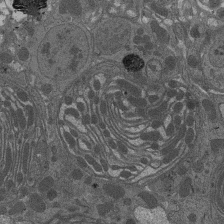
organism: Drosophila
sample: Antenna